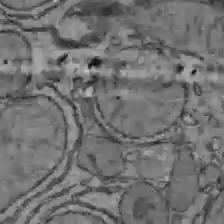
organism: C57BL Mouse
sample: Liver